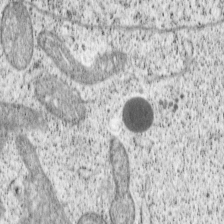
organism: African green monkey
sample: COS-7 cells